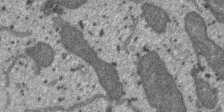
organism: Human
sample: Lung epithelial cells infected with SARS-CoV-2